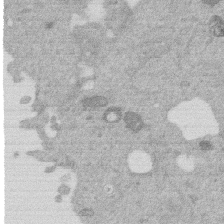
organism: Mouse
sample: Dividing mouse embryo 1 cell stage